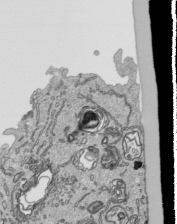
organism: Human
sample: Mitochondria in HCT116 cells